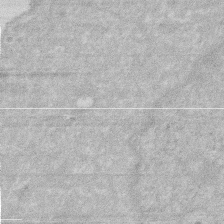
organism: Human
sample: HIV infected U937 cells